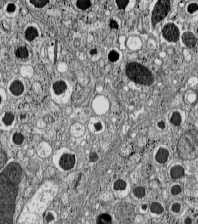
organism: C57BL Mouse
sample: Pancreatic islet